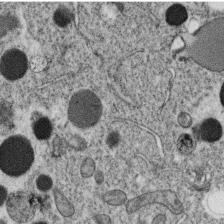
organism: C. elegans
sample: C. elegans oocyte; sperm cells